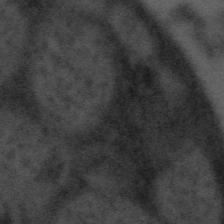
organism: Tuwongella immobilis